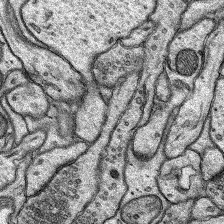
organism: Rat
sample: Hippocampus